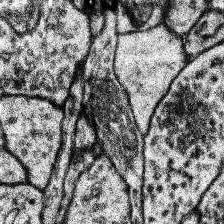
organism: Human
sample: Temporal Lobe